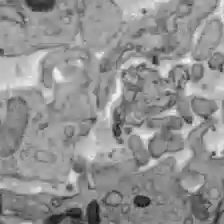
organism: C57BL Mouse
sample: Liver